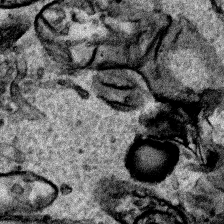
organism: Human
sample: Mitochondria in HCT116 cells